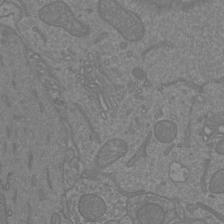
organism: Mouse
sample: Cortical neurons